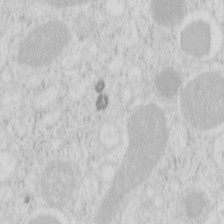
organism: Mouse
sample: Pancreas